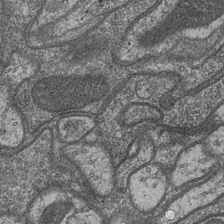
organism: Drosophila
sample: Optic medulla